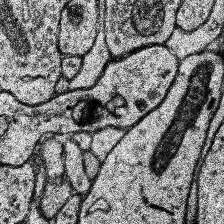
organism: Human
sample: Temporal Lobe